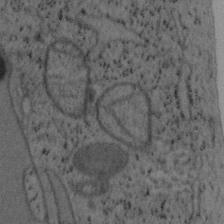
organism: Human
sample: HeLa cells